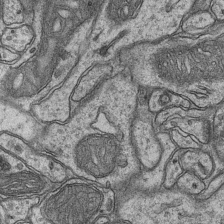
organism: Mouse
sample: CA1 Hippocampus